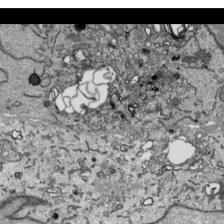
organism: Human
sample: Mitochondria in HCT116 cells